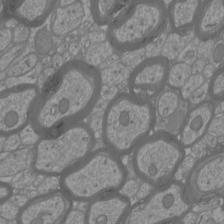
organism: Mouse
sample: Cortical neurons